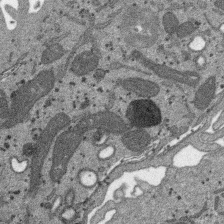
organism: Human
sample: Lung epithelial cells infected with SARS-CoV-2